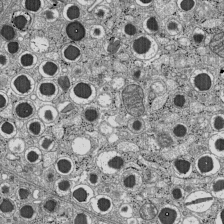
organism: C57BL Mouse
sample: Pancreatic islet